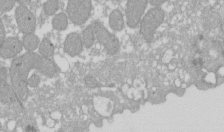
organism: Xenopus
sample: Cilia; centrioles in frog embryo cells